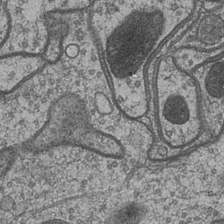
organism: Drosophila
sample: Optic medulla